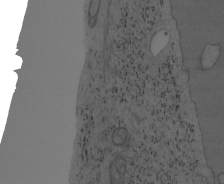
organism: Mouse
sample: OT-I killer T cells with ID8 ovarian cancer cells